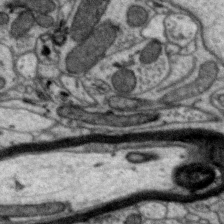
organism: Zebra finch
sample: Brain